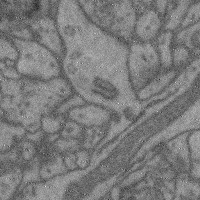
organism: Mouse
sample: Cerebral cortex